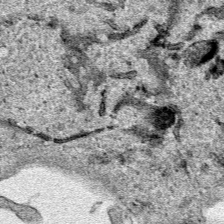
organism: Human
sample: Mitochondria in HCT116 cells